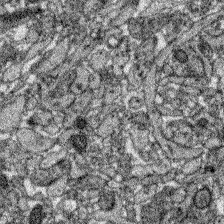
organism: Zebrafish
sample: Larval olfactory bulb